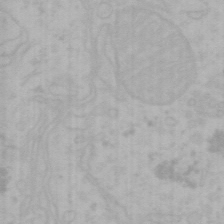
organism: Mouse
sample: Choroid plexus